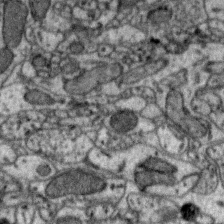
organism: Zebra finch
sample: Brain